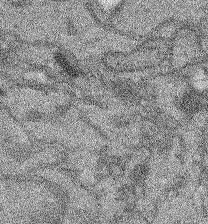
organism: Human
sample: HeLa cells